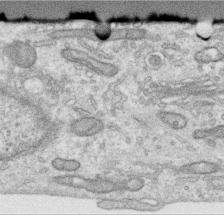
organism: Human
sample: Centriole in RPE cells